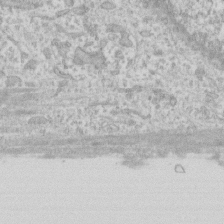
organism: Human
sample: Fibroblast cells